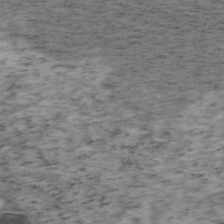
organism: Mouse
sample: OT-I killer T cells with ID8 ovarian cancer cells